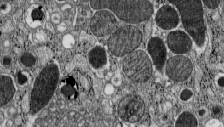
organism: C57BL Mouse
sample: Pancreatic islet